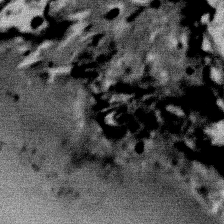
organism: Mouse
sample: Mouse Salivary gland